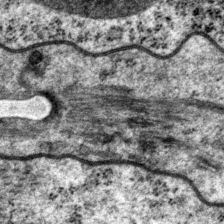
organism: P. pacificus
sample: Pharynx